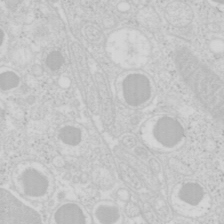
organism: Mouse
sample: Pancreas